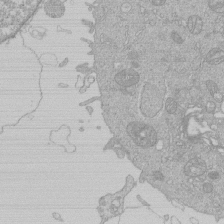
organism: Human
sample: Macrophage cells